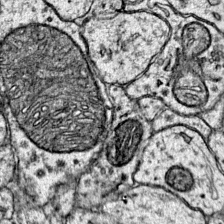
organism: Mouse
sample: Primary visual cortex